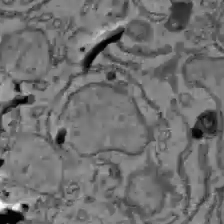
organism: C57BL Mouse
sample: Liver